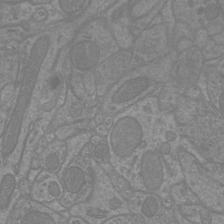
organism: Mouse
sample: Cortical neurons